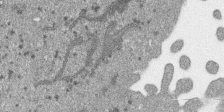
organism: Human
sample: Lung epithelial cells infected with SARS-CoV-2